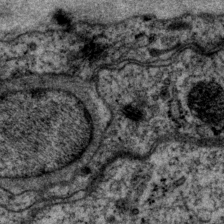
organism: P. pacificus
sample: Pharynx